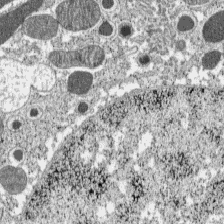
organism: C57BL Mouse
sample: Pancreatic islet